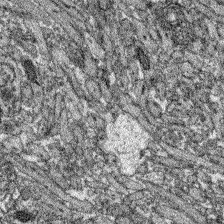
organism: Zebrafish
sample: Larval olfactory bulb